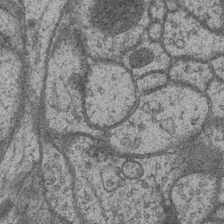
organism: Drosophila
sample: Optic medulla